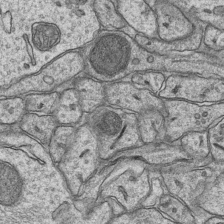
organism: Mouse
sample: CA1 Hippocampus